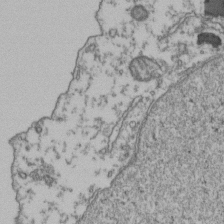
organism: Human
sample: Activated Jurkat CD4+ T cells